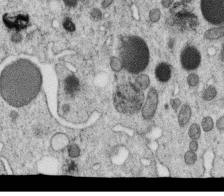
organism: C. elegans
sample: C. elegans oocyte; sperm cells